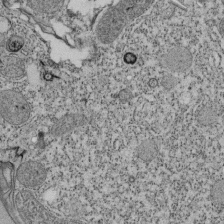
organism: Tetrahymena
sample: Cilia in tetrahymena